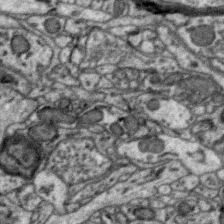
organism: Zebra finch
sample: Brain